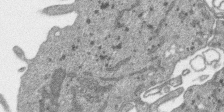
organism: Human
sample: Lung epithelial cells infected with SARS-CoV-2